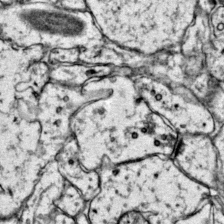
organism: Mouse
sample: Primary visual cortex